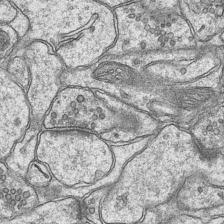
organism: Mouse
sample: CA1 Hippocampus